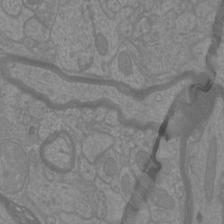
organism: Mouse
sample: Cortical neurons